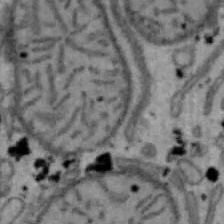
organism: Mouse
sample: Liver